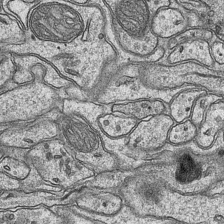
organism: Mouse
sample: CA1 Hippocampus